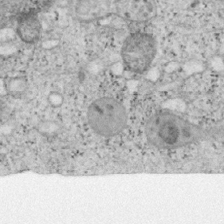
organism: Mouse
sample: OT-I killer T cells with ID8 ovarian cancer cells